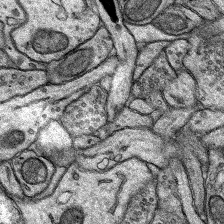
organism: Rat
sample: Hippocampus